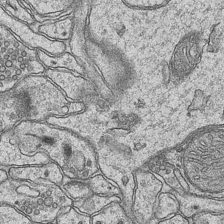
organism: Mouse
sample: CA1 Hippocampus